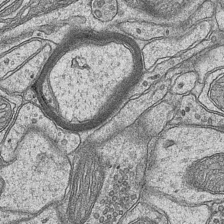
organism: Mouse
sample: CA1 Hippocampus